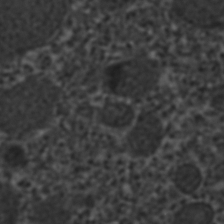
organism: C. elegans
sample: C. elegans embryo